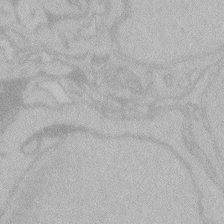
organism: Zebrafish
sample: Macrophage infected with Toxoplasma gondii